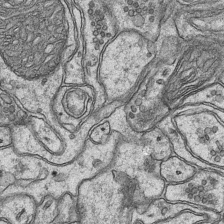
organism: Mouse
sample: CA1 Hippocampus